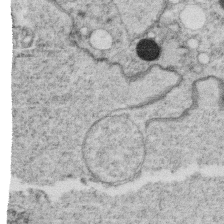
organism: C. elegans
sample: C. elegans oocyte; sperm cells